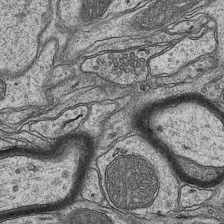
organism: Mouse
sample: CA1 Hippocampus